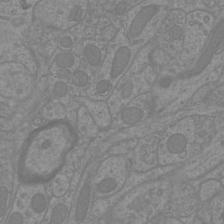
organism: Mouse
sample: Cortical neurons